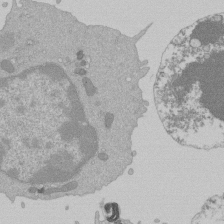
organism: Mouse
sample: Activated Pmel transgenic CD8+ T Cells